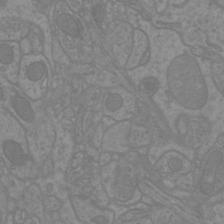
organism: Mouse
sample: Cortical neurons